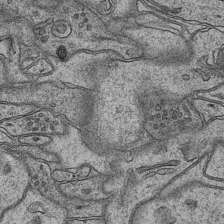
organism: Mouse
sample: CA1 Hippocampus